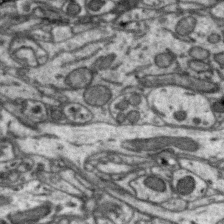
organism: Zebra finch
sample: Brain